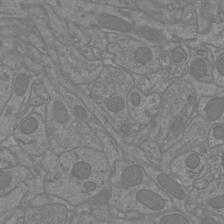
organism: Mouse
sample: Cortical neurons